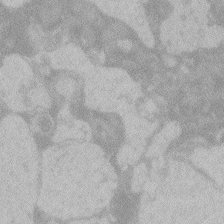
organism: Zebrafish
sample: Macrophage infected with Toxoplasma gondii